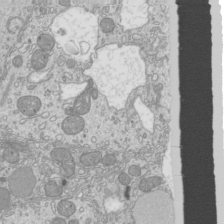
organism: Mouse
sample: Cilia; mouse epididymis